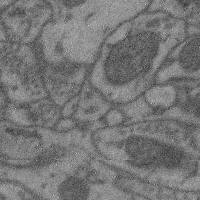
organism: Mouse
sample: Cerebral cortex